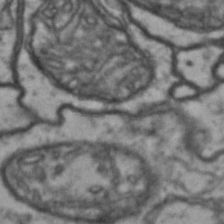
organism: Drosophila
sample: Brain